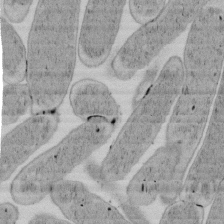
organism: E. coli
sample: Bacterial nucleoid